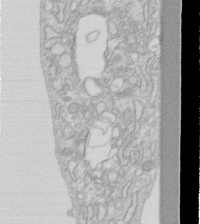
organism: Human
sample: Fibroblast cells